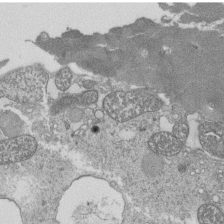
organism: Tetrahymena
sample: Cilia in tetrahymena